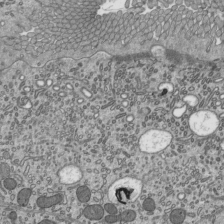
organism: Mouse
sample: Mouse epididymis efferent ductule cilia